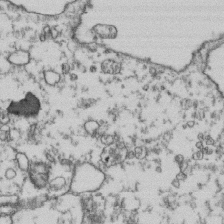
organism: Human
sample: Activated Jurkat CD4+ T cells